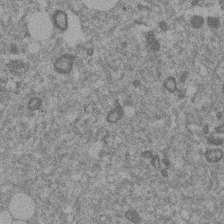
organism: Mouse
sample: Dividing mouse embryo 1 cell stage